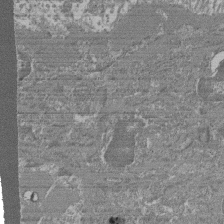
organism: Mouse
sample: Glomerulus